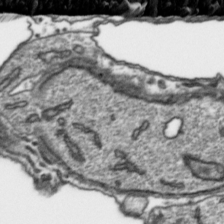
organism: Toxoplasma gondii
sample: Parasites in a vacuole inside a host cell